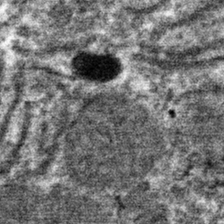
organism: Mouse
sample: Mouse hepatocytes